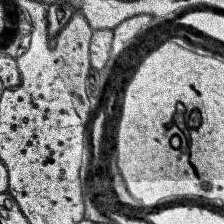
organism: Human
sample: Temporal Lobe